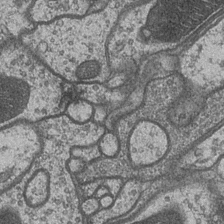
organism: Drosophila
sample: Optic medulla